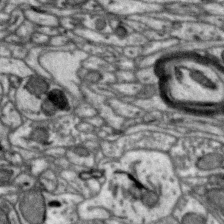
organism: Zebra finch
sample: Brain